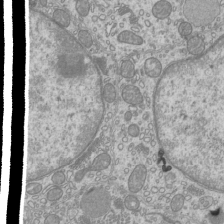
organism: Mouse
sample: Cilia; mouse epididymis